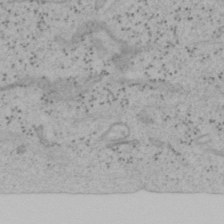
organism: Human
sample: HeLa cells